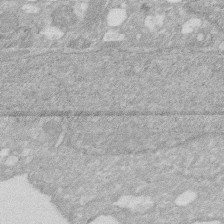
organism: Human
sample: HIV infected U937 cells